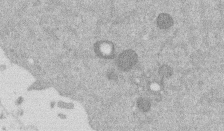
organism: Mouse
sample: Dividing mouse embryo 1 cell stage